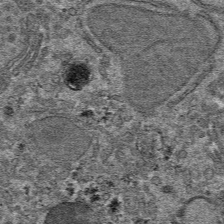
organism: Mouse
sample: Mouse hepatocytes